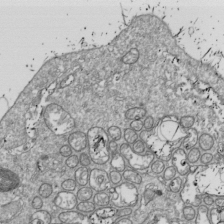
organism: Drosophila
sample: Cell division; meiosis; drosophila spermatocytes